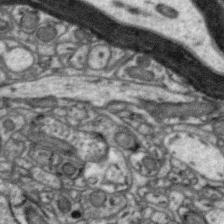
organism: Zebra finch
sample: Brain